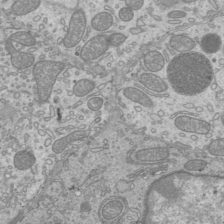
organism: Mouse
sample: Cilia; mouse epididymis